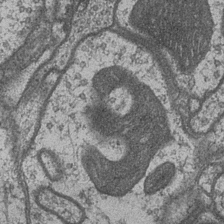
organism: Drosophila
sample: Optic medulla